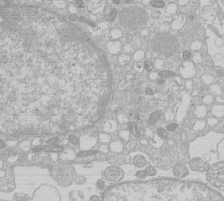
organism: Human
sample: Macrophage cells